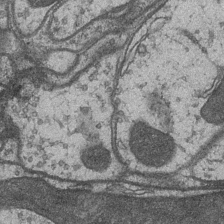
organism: Drosophila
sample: Optic medulla